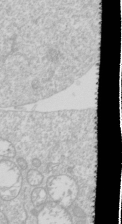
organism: Drosophila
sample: Cell division; meiosis; drosophila spermatocytes